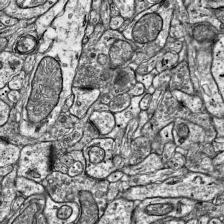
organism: Mouse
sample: Visual Cortex